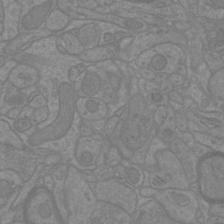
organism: Mouse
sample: Cortical neurons